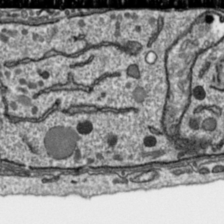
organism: Toxoplasma gondii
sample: Parasites in a vacuole inside a host cell